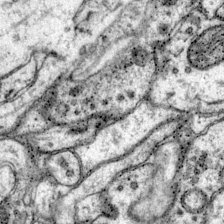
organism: Mouse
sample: Primary visual cortex